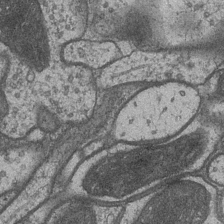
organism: Drosophila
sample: Optic medulla